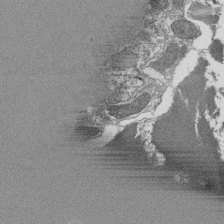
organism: Tetrahymena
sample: Cilia in tetrahymena